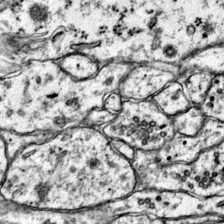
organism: Mouse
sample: Primary visual cortex